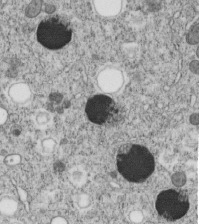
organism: C. elegans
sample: C. elegans embryo early stage